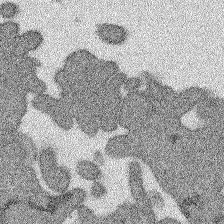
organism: Human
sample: HeLa cells